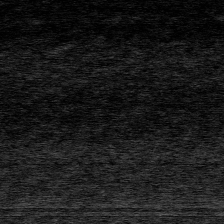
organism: Human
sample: HeLa cells